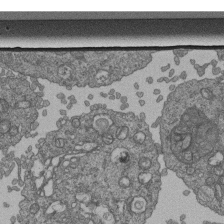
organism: Human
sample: Retinal organoid Rod and Cone cells